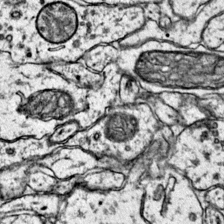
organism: Mouse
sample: Primary visual cortex